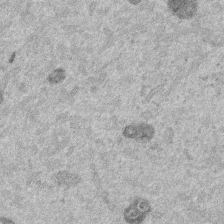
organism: Mouse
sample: Dividing mouse embryo 1 cell stage